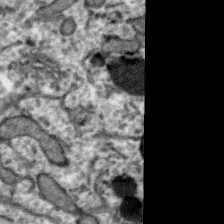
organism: Zebra finch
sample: Brain